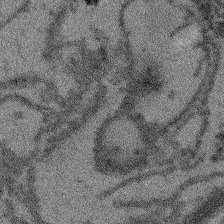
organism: Arabidopsis thaliana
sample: Root tip